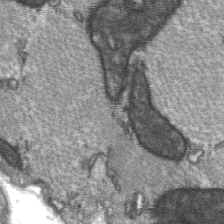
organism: C57BL Mouse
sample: Soleus